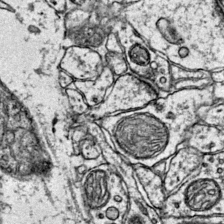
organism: Mouse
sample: Primary visual cortex